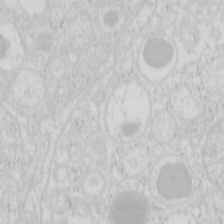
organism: Mouse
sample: Pancreas